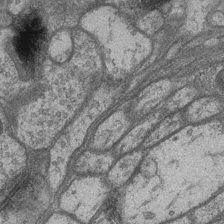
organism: Drosophila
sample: Optic medulla